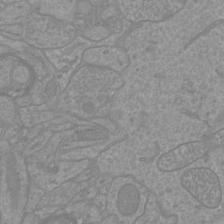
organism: Mouse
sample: Cortical neurons